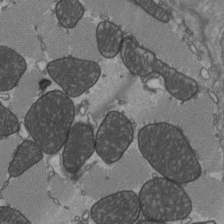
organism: C57BL Mouse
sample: Heart